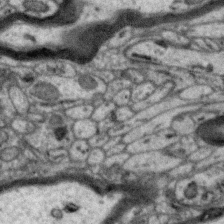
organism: Zebra finch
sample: Brain